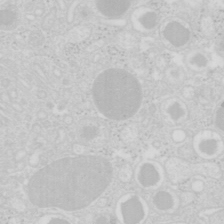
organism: Mouse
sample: Pancreas